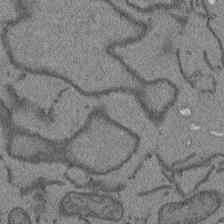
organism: Arabidopsis thaliana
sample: Root tip